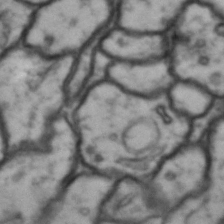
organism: Drosophila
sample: Brain